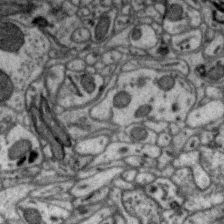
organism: Zebra finch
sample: Brain